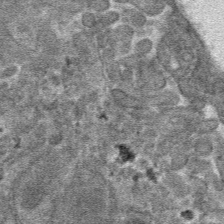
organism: Mouse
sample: Mouse hepatocytes